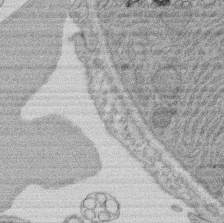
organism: Rat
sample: Salivary granule